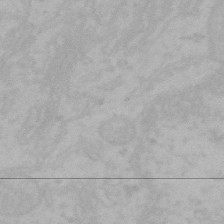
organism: Mouse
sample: Choroid plexus